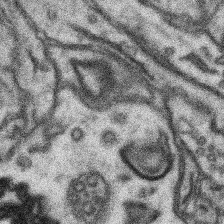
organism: Mouse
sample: Somatosensory cortex neuropil